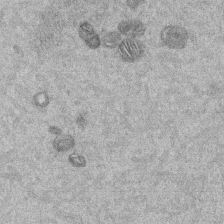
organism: Mouse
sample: Dividing mouse embryo 1 cell stage